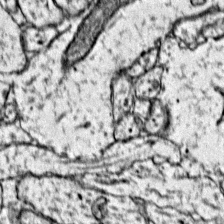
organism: Mouse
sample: Primary visual cortex